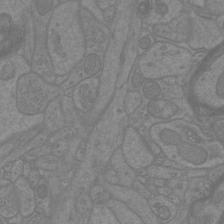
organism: Mouse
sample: Cortical neurons